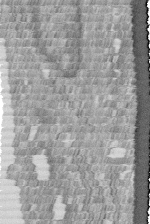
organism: Human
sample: Centriole in fibroblast cells